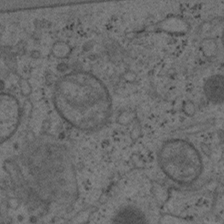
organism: Human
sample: HeLa cells